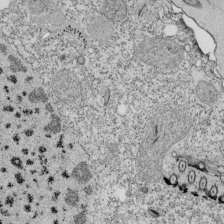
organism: Tetrahymena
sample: Cilia in tetrahymena